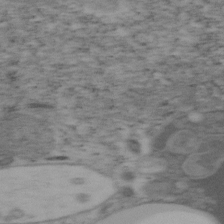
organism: Mouse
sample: OT-I killer T cells with ID8 ovarian cancer cells